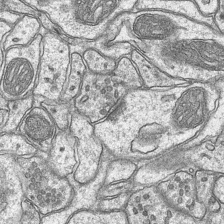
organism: Mouse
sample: CA1 Hippocampus